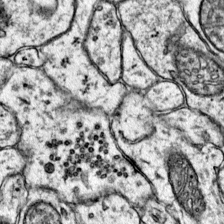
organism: Mouse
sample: Primary visual cortex